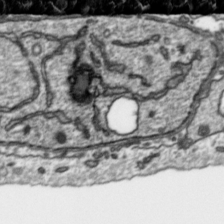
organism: Toxoplasma gondii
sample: Parasites in a vacuole inside a host cell